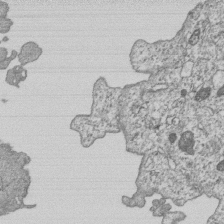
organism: Human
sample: MDA-MB-231 cells